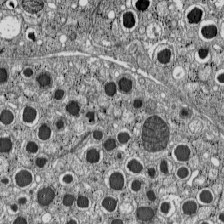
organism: C57BL Mouse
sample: Pancreatic islet